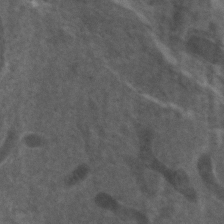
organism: Zebrafish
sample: Zebrafish embryo